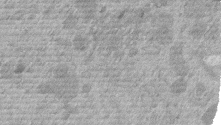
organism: Mouse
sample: Dividing mouse embryo 1 cell stage